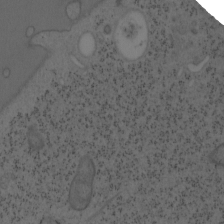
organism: Mouse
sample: OT-I killer T cells with ID8 ovarian cancer cells